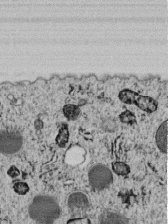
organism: C. elegans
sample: C. elegans embryo early stage